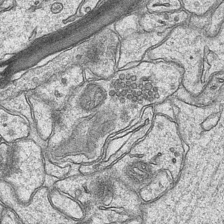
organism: Mouse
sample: CA1 Hippocampus